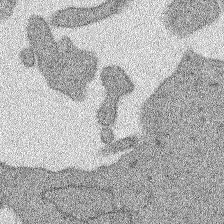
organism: Human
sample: HeLa cells